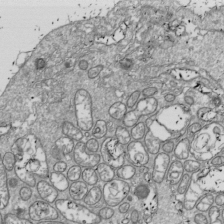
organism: Drosophila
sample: Cell division; meiosis; drosophila spermatocytes